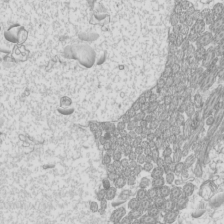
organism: Mouse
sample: Cilia; mouse epididymis